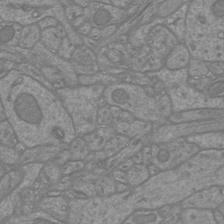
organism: Mouse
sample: Cortical neurons